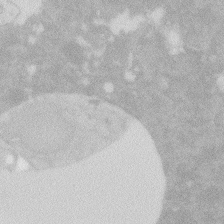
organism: Zebrafish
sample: Macrophage